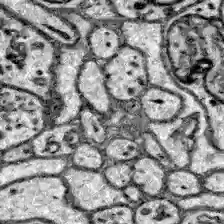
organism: Zebrafish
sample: Brain